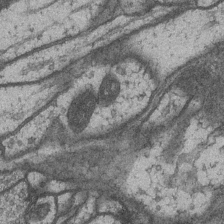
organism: Drosophila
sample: Optic medulla